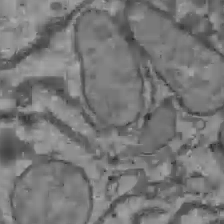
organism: C57BL Mouse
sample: Liver